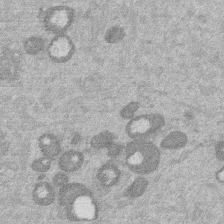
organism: Mouse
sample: Dividing mouse embryo 1 cell stage